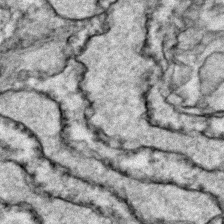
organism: Zebrafish